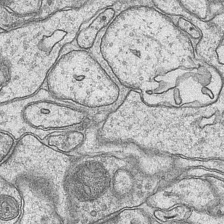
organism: Mouse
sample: CA1 Hippocampus